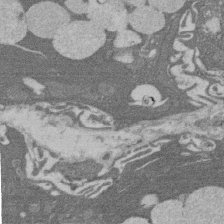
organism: Rat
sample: Salivary granule